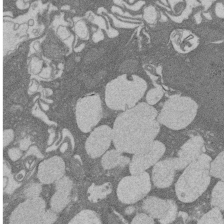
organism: Rat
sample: Salivary granule